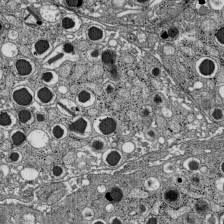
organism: C57BL Mouse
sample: Pancreatic islet